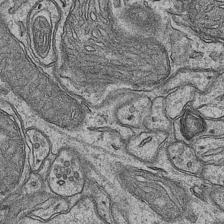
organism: Mouse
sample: CA1 Hippocampus